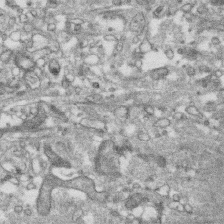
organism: Human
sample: CRL-1474